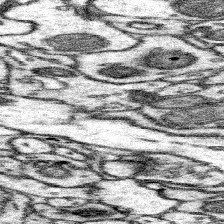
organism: Mouse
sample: Somatosensory cortex neuropil